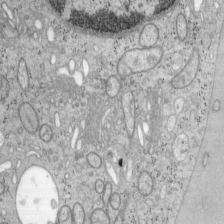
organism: Mouse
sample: OT-I killer T cells with ID8 ovarian cancer cells